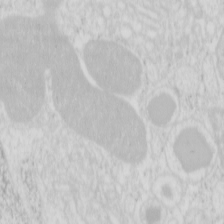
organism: Mouse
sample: Pancreas